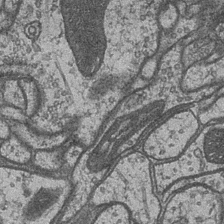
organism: Drosophila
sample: Optic medulla